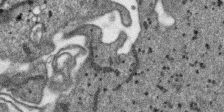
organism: Human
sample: Lung epithelial cells infected with SARS-CoV-2